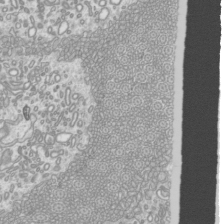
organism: Mouse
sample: Cilia; mouse epididymis